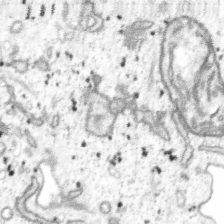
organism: Human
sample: HeLa cells